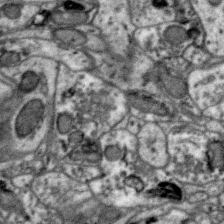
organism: Zebra finch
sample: Brain